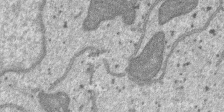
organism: Human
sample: Lung epithelial cells infected with SARS-CoV-2